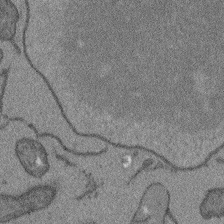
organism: Arabidopsis thaliana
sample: Root tip